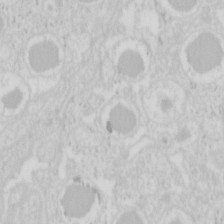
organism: Mouse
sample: Pancreas